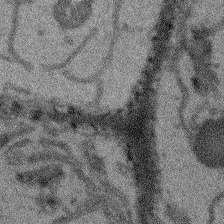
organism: Arabidopsis thaliana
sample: Root tip